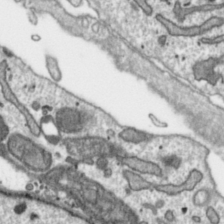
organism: Toxoplasma gondii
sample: Parasites in a vacuole inside a host cell